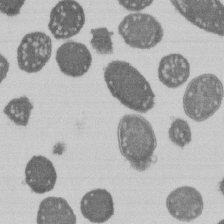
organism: E. coli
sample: Bacterial nucleoid